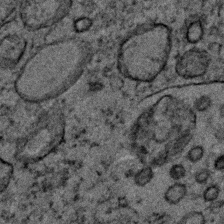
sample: Trachea